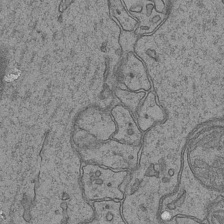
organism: Mouse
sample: CA1 Hippocampus